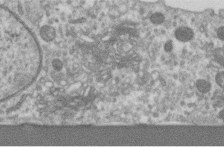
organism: Human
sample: Centriole in RPE cells